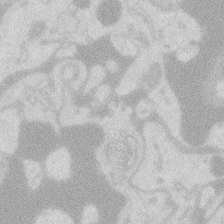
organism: Zebrafish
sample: Macrophage